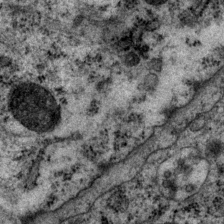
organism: P. pacificus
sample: Pharynx